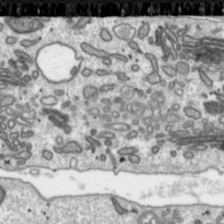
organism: Toxoplasma gondii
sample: Parasites in a vacuole inside a host cell